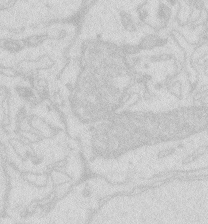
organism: Zebrafish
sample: Macrophage